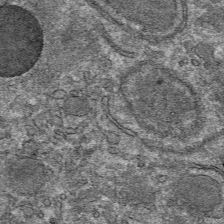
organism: Mouse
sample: Mouse hepatocytes